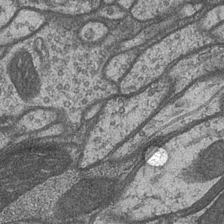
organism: Drosophila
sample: Optic medulla